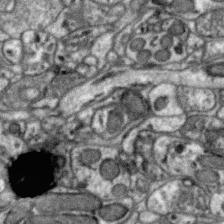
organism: Zebra finch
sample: Brain